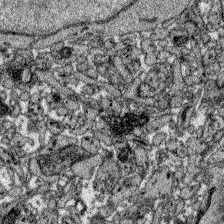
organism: Zebrafish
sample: Larval olfactory bulb